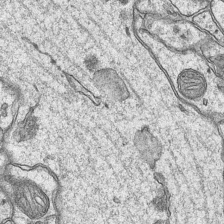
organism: Mouse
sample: CA1 Hippocampus